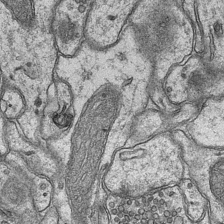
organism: Mouse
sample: CA1 Hippocampus